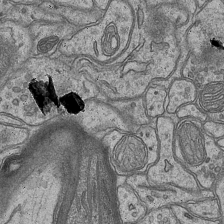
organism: Mouse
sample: CA1 Hippocampus